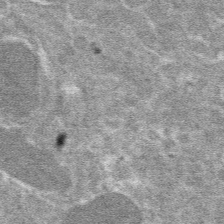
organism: Mouse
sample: Mouse hepatocytes